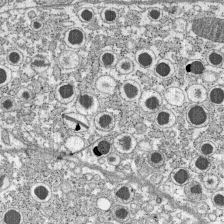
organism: C57BL Mouse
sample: Pancreatic islet